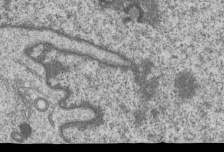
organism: Human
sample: MDA-MB-231 cells